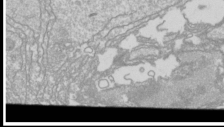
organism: Drosophila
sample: Cell division; meiosis; drosophila spermatocytes